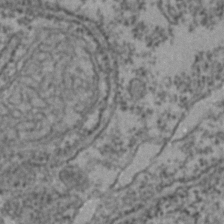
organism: Zebrafish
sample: Zebrafish embryo